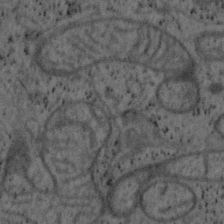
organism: Human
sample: HeLa cells